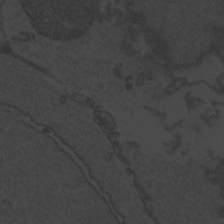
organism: Zebrafish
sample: Macrophage infected with Toxoplasma gondii